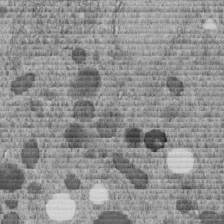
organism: C. elegans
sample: C. elegans embryo early stage